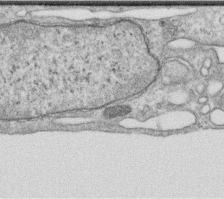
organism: Human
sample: Centriole in RPE cells